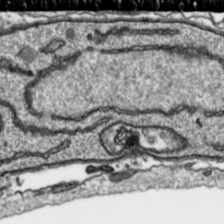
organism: Toxoplasma gondii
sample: Parasites in a vacuole inside a host cell